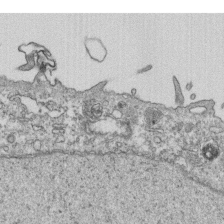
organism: Human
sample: HeLa cell HIV synapse